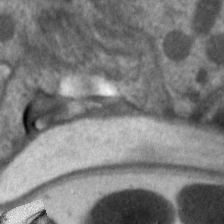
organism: C. elegans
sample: Pharynx